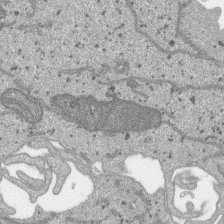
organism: Human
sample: Lung epithelial cells infected with SARS-CoV-2